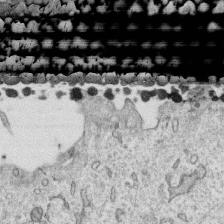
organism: Human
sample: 1205lu cells